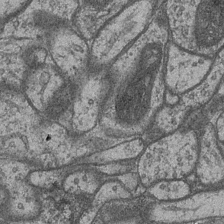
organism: Drosophila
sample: Optic medulla